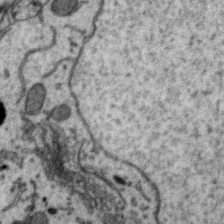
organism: Zebra finch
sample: Brain